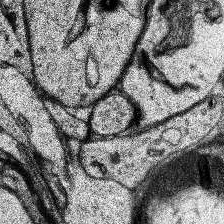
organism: Human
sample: Temporal Lobe